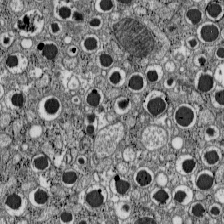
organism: C57BL Mouse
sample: Pancreatic islet